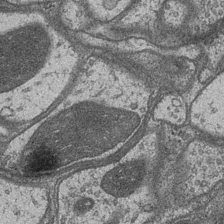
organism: Drosophila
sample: Optic medulla